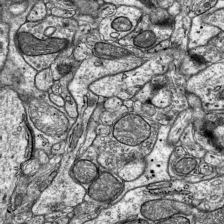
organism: Mouse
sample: Visual Cortex